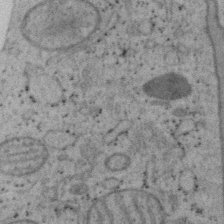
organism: Human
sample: HeLa cells